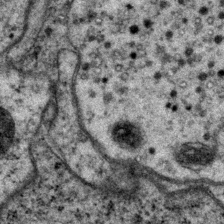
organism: P. pacificus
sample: Pharynx